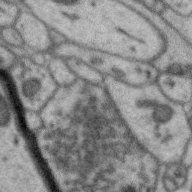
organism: Zebra finch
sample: Brain